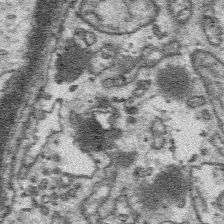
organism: Platynereis dumerilii